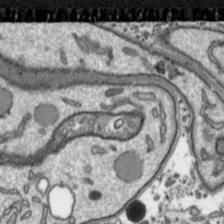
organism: Toxoplasma gondii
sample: Parasites in a vacuole inside a host cell